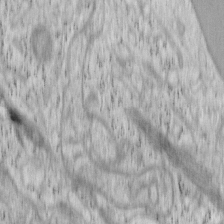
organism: Human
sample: HeLa cells